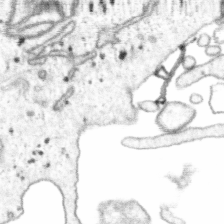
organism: Human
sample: HeLa cells